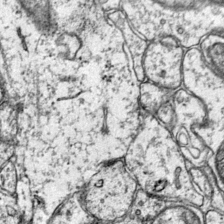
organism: Mouse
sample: Primary visual cortex